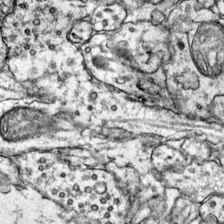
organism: Mouse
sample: Primary visual cortex